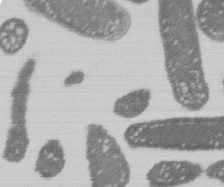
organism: E. coli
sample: Bacterial nucleoid